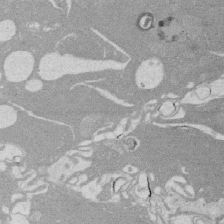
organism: Rat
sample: Salivary granule